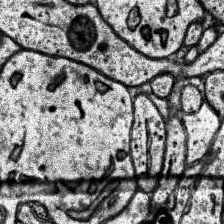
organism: Human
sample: Temporal Lobe